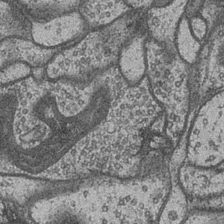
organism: Drosophila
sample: Optic medulla